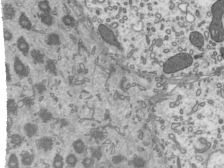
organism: Mouse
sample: Mouse epididymis efferent ductule cilia